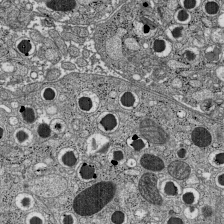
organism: C57BL Mouse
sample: Pancreatic islet